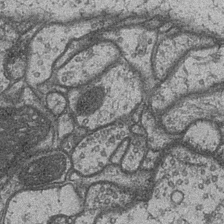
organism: Drosophila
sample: Optic medulla